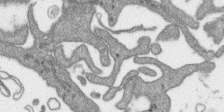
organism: Human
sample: Lung epithelial cells infected with SARS-CoV-2